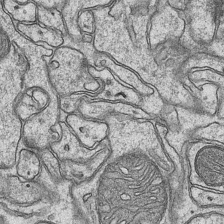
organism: Mouse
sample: CA1 Hippocampus